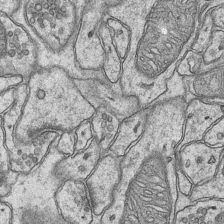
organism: Mouse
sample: CA1 Hippocampus